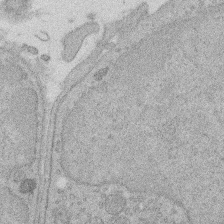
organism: Rat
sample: Salivary granule